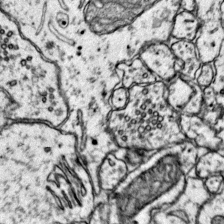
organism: Mouse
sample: Primary visual cortex